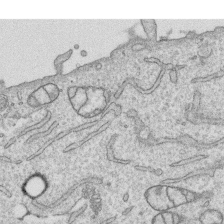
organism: Human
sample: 1205lu cells